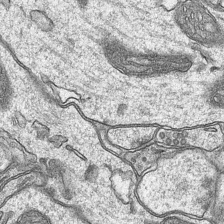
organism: Mouse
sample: CA1 Hippocampus